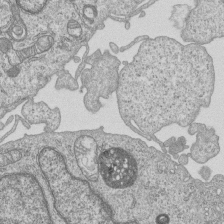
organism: Human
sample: MDA-MB-231 cells